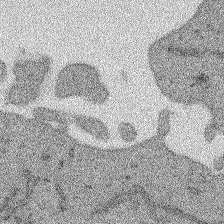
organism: Human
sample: HeLa cells